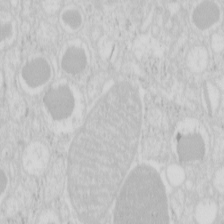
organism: Mouse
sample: Pancreas